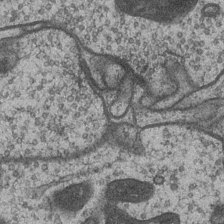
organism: Drosophila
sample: Optic medulla